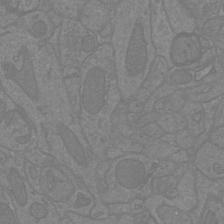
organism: Mouse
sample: Cortical neurons